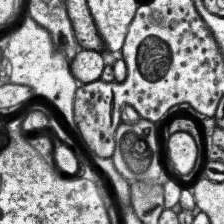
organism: Human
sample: Temporal Lobe